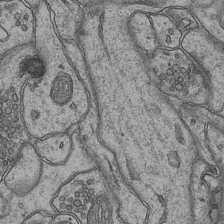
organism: Mouse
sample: CA1 Hippocampus